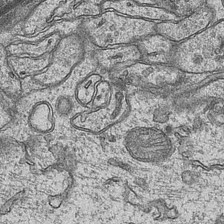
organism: Mouse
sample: CA1 Hippocampus